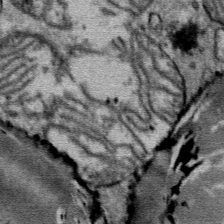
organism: Mouse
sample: Mouse Salivary gland